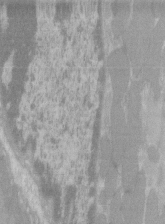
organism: C57BL Mouse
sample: Tibialis anterior muscle cell